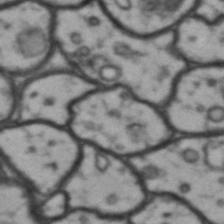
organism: Drosophila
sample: Brain